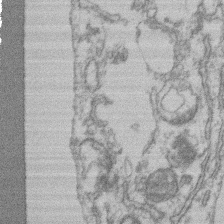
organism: Mouse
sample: T cell stromal cell synapse